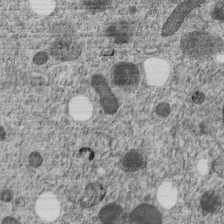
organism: C. elegans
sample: C. elegans embryo early stage